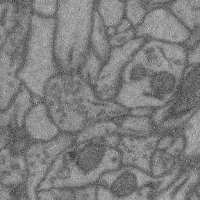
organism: Mouse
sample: Cerebral cortex